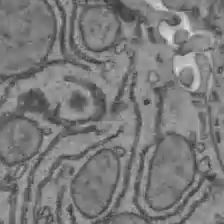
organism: C57BL Mouse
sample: Liver